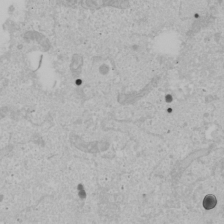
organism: Human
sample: Mitochondria in U2OS cells